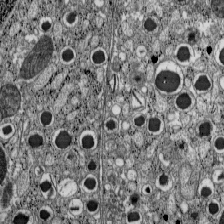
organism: C57BL Mouse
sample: Pancreatic islet